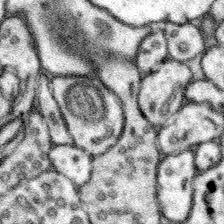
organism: Mouse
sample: Somatosensory cortex neuropil